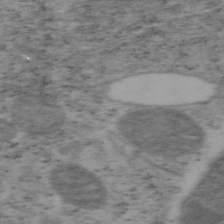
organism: Mouse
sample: OT-I killer T cells with ID8 ovarian cancer cells